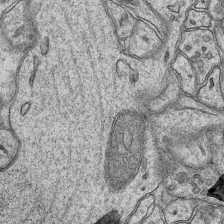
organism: Mouse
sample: CA1 Hippocampus